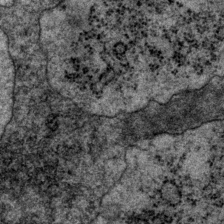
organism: P. pacificus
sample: Pharynx